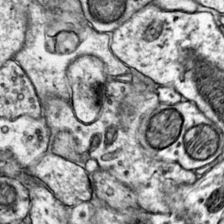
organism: Mouse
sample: Primary visual cortex